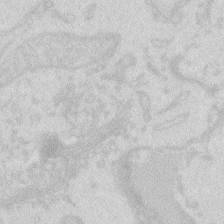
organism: Zebrafish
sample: Macrophage